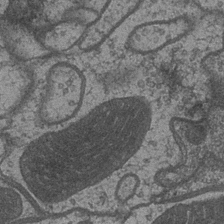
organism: Drosophila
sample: Optic medulla